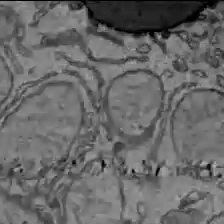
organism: C57BL Mouse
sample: Liver